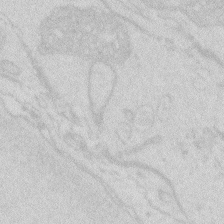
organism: Zebrafish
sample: Macrophage